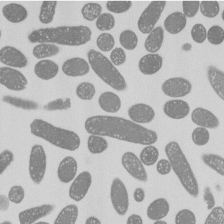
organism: E. coli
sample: Bacterial nucleoid